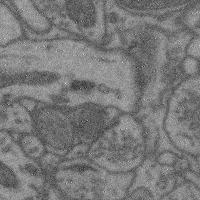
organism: Mouse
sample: Cerebral cortex